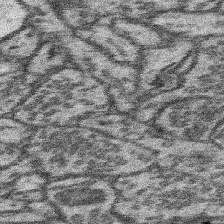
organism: Mouse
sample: Somatosensory cortex neuropil